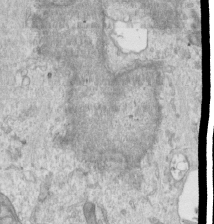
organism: Human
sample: Centriole in RPE cells